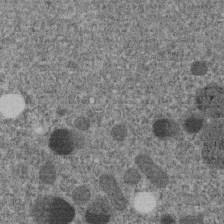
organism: C. elegans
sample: C. elegans embryo early stage